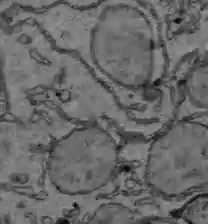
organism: C57BL Mouse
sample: Liver